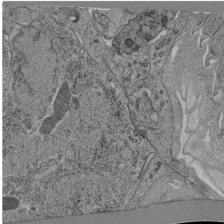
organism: C. elegans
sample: C. elegans pharynx